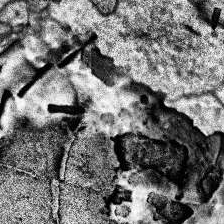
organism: Human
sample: Temporal Lobe